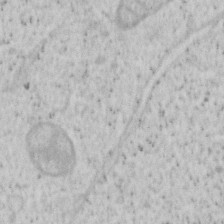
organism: Human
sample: HeLa cells